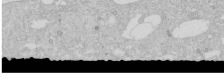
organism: Human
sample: Caco-2 cells